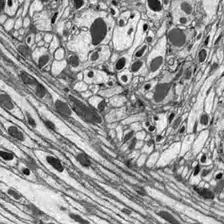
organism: Drosophila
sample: Optic lobe